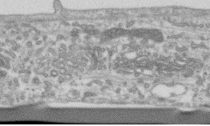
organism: Human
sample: Centriole in RPE cells